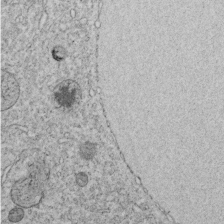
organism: C. elegans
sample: C. elegans embryo early stage